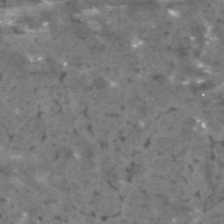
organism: Human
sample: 1205lu cells